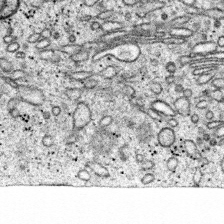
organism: Human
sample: HeLa cells